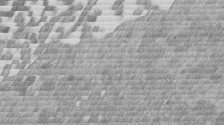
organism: Mouse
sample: Dividing mouse embryo 1 cell stage